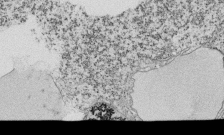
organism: Tetrahymena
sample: Cilia in tetrahymena